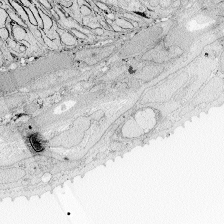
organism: Zebrafish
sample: Whole-Brain